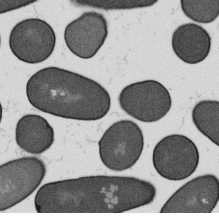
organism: B. subtilis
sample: Bacterial spore